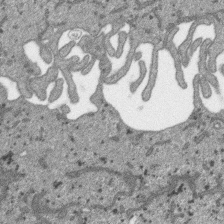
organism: Human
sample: Lung epithelial cells infected with SARS-CoV-2